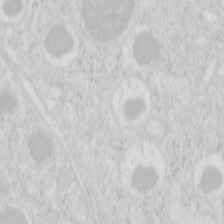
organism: Mouse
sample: Pancreas